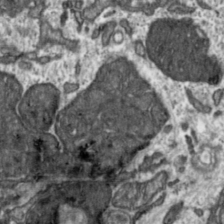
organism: Toxoplasma gondii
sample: Parasites in a vacuole inside a host cell